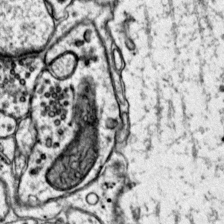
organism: Mouse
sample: Primary visual cortex